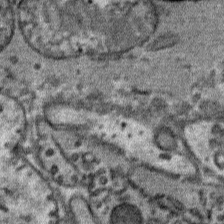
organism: Mouse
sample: Mouse Salivary gland